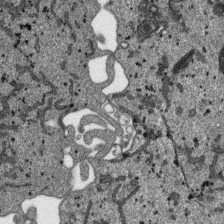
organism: Human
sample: Lung epithelial cells infected with SARS-CoV-2